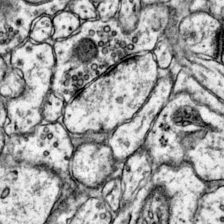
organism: Mouse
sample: Primary visual cortex